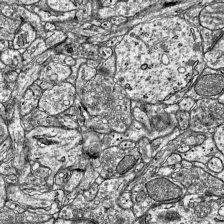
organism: Mouse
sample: Visual Cortex